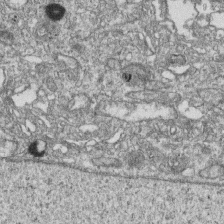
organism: Human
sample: HeLa cell HIV synapse